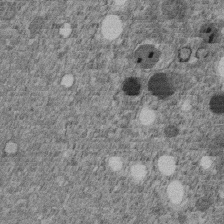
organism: C. elegans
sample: C. elegans embryo early stage